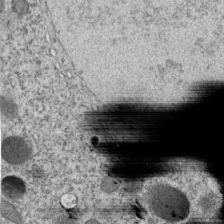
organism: C. elegans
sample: C. elegans embryo early stage